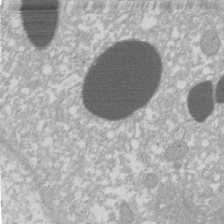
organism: Xenopus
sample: Cilia; centrioles in frog embryo cells